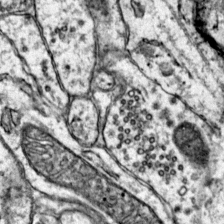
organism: Mouse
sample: Primary visual cortex